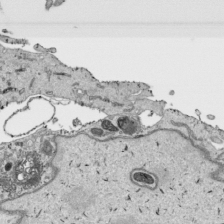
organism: Human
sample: Mitochondria in HCT116 cells